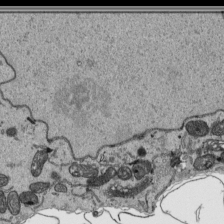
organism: Human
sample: Mitochondria in HCT116 cells